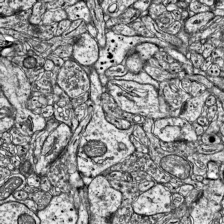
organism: Mouse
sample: Visual Cortex